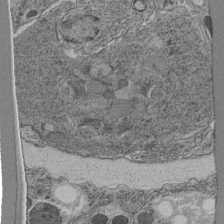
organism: C. elegans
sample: C. elegans pharynx